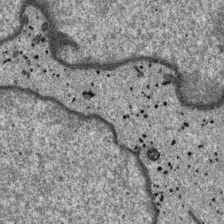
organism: Human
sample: Lung epithelial cells, uninfected (mock) control